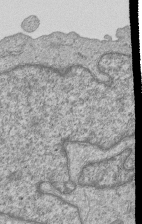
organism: Human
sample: MDA-MB-231 cells